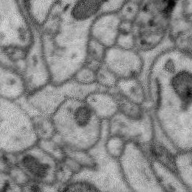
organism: Zebra finch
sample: Brain